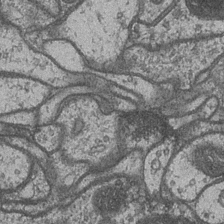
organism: Drosophila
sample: Optic medulla